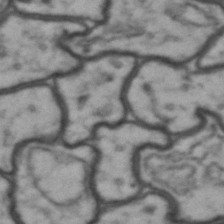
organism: Drosophila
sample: Brain